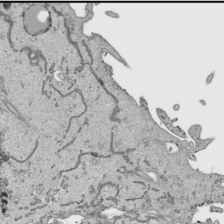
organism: Human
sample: Mitochondria in HCT116 cells